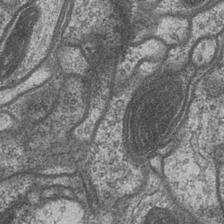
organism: Drosophila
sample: Optic medulla